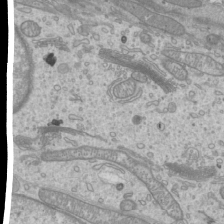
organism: Mouse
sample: Cilia; mouse epididymis